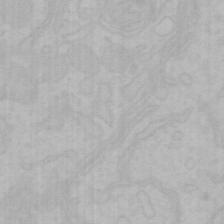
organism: Mouse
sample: Choroid plexus